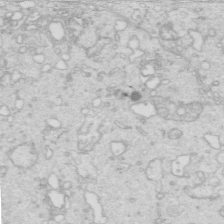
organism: Mouse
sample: Multiciliated cells